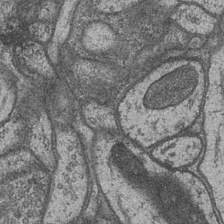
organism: Drosophila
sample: Optic medulla